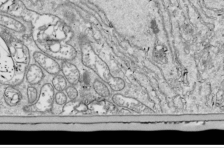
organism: Drosophila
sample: Cell division; meiosis; drosophila spermatocytes